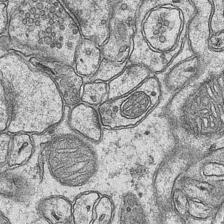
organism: Mouse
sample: CA1 Hippocampus